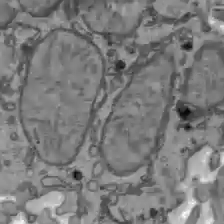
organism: C57BL Mouse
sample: Liver